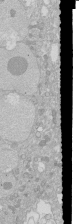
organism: Human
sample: Caco-2 cells